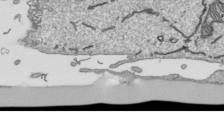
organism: Human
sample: Mitochondria in HCT116 cells